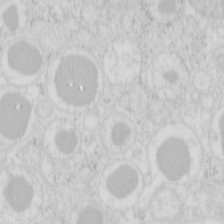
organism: Mouse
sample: Pancreas